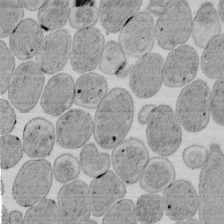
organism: E. coli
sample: Bacterial nucleoid